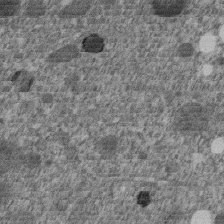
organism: C. elegans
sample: C. elegans embryo early stage